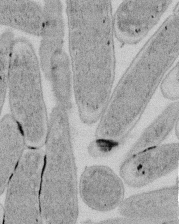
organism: E. coli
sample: Bacterial nucleoid